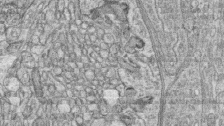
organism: Zebrafish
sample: synaptic ribbons in rod cells and cone cells